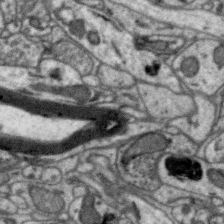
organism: Zebra finch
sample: Brain